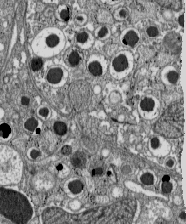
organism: C57BL Mouse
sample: Pancreatic islet